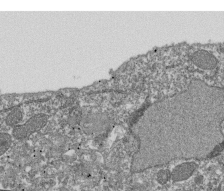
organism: Dictyostelium discoideum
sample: Dictyostelium multivesicular bodies